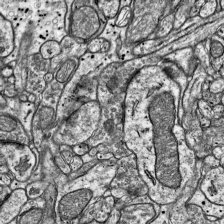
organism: Mouse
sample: Visual Cortex